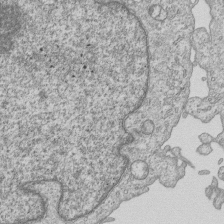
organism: Human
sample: MDA-MB-231 cells